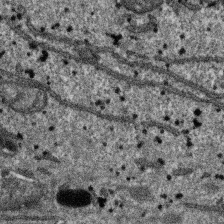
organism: Human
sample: Lung epithelial cells infected with SARS-CoV-2